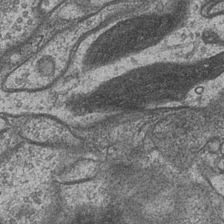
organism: Drosophila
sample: Optic medulla